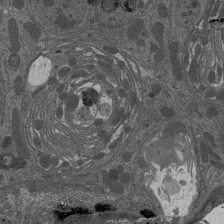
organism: Drosophila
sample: Antenna